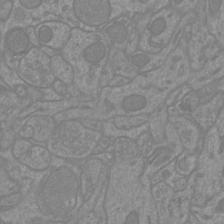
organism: Mouse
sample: Cortical neurons